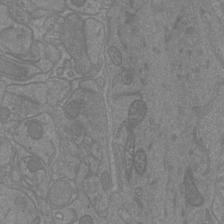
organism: Mouse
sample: Cortical neurons